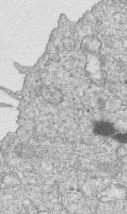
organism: Human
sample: HeLa cell HIV synapse